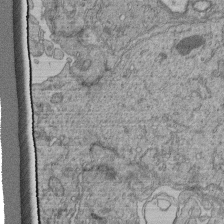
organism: Human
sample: Retinal organoid Rod and Cone cells